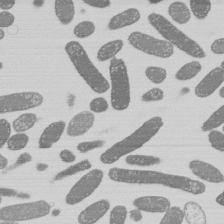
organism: E. coli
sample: Bacterial nucleoid